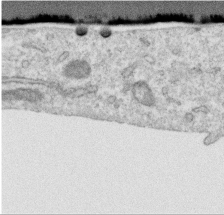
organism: Human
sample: Centriole in RPE cells